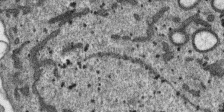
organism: Human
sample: Lung epithelial cells infected with SARS-CoV-2